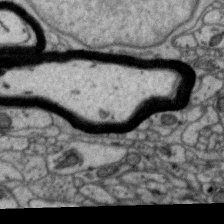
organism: Zebra finch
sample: Brain